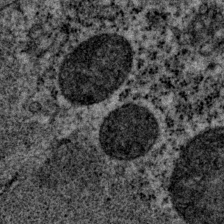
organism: P. pacificus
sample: Pharynx